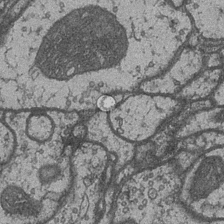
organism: Drosophila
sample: Optic medulla